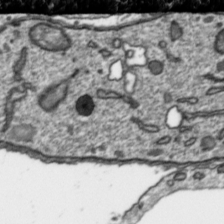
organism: Toxoplasma gondii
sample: Parasites in a vacuole inside a host cell